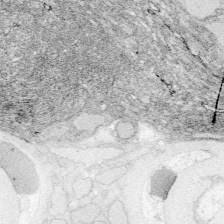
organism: Zebrafish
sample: Whole-Brain